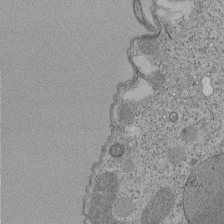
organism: Tetrahymena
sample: Cilia in tetrahymena